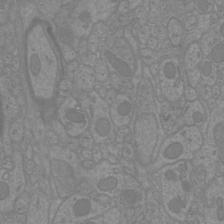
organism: Mouse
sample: Cortical neurons